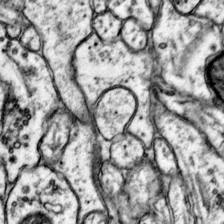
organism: Mouse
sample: Primary visual cortex